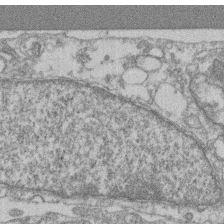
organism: Mouse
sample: T cell stromal cell synapse